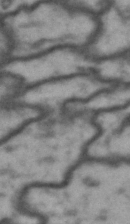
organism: Drosophila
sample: Brain